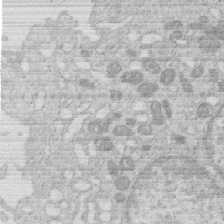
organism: Human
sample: Macrophage cells